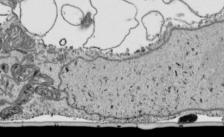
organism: Human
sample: Mitochondria in HCT116 cells